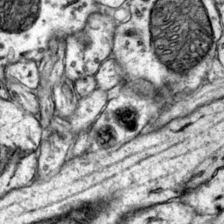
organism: Mouse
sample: Primary visual cortex